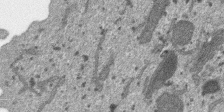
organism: Human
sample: Lung epithelial cells infected with SARS-CoV-2